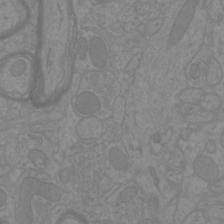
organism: Mouse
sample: Cortical neurons